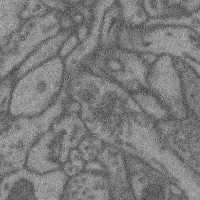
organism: Mouse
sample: Cerebral cortex